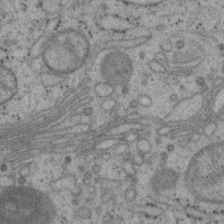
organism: Human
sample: HeLa cells